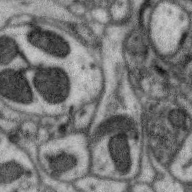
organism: Zebra finch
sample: Brain